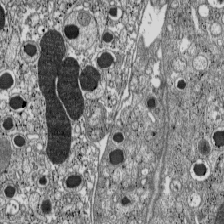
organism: C57BL Mouse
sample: Pancreatic islet